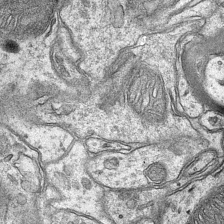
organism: Mouse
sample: CA1 Hippocampus